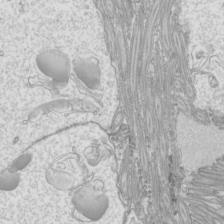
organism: Mouse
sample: Cilia; mouse epididymis